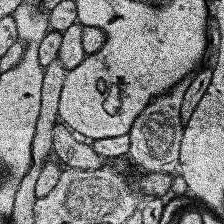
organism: Human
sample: Temporal Lobe